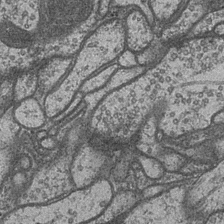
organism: Drosophila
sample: Optic medulla